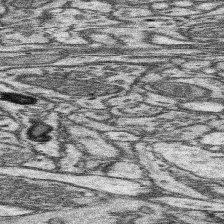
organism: Mouse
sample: Somatosensory cortex neuropil